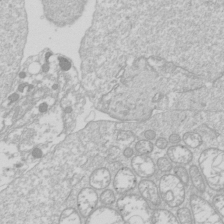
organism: Drosophila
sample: Cell division; meiosis; drosophila spermatocytes